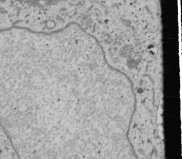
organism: Human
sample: Mitochondria in U2OS cells